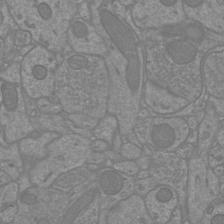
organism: Mouse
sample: Cortical neurons